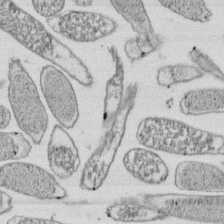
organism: E. coli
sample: Bacterial nucleoid